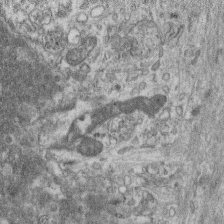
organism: Mouse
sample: Centriole in ependymal cells